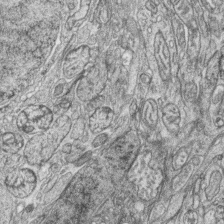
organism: Zebrafish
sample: synaptic ribbons in rod cells and cone cells